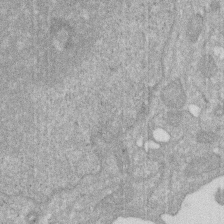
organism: Human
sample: HIV infected U937 cells